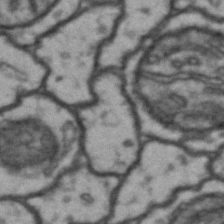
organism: Drosophila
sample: Brain